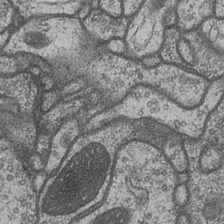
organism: Drosophila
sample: Optic medulla